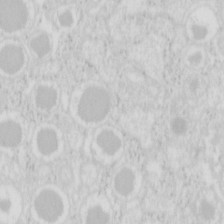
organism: Mouse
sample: Pancreas